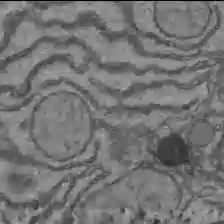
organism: C57BL Mouse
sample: Liver